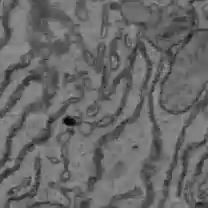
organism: C57BL Mouse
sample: Liver